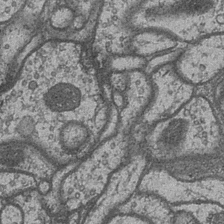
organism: Drosophila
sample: Optic medulla